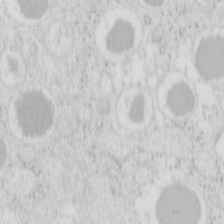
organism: Mouse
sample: Pancreas